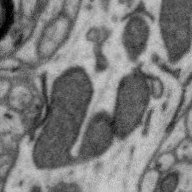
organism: Zebra finch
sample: Brain